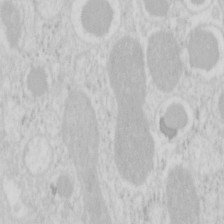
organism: Mouse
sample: Pancreas